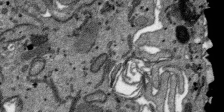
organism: Human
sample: Lung epithelial cells, uninfected (mock) control